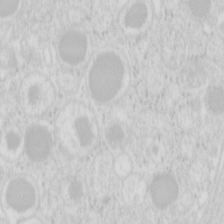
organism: Mouse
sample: Pancreas